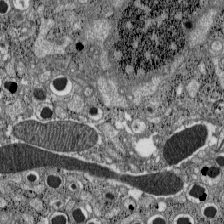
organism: C57BL Mouse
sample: Pancreatic islet